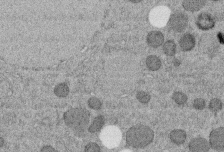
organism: C. elegans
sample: C. elegans embryo early stage